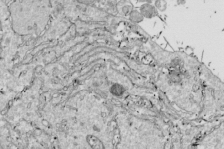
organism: Drosophila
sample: Cell division; meiosis; drosophila spermatocytes